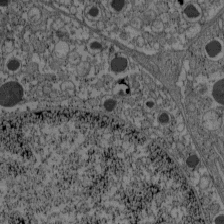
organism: C57BL Mouse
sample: Pancreatic islet